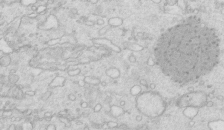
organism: Mouse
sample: Multiciliated cells